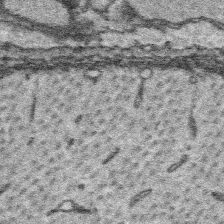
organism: Platynereis dumerilii